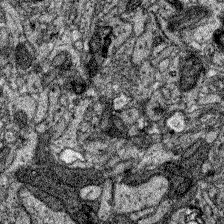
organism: Zebrafish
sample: Larval olfactory bulb